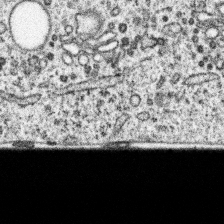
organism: Human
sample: HeLa cells